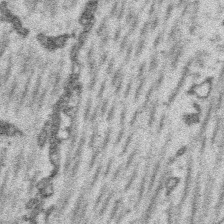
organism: Platynereis dumerilii